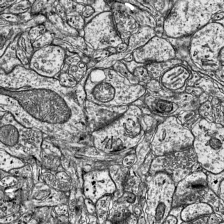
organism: Mouse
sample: Visual Cortex